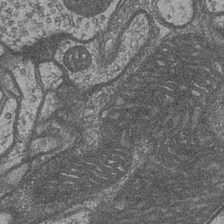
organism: Drosophila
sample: Optic medulla